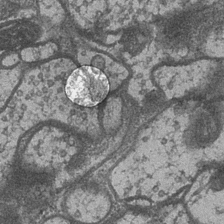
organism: Drosophila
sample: Optic medulla